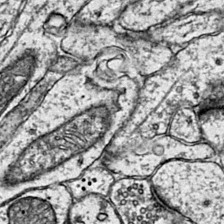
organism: Mouse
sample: Primary visual cortex